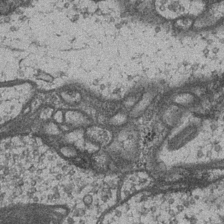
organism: Drosophila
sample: Optic medulla